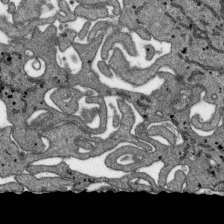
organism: Human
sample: Lung epithelial cells, uninfected (mock) control